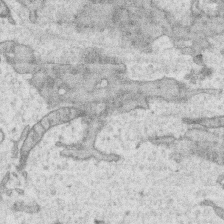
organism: Human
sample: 1205lu cells